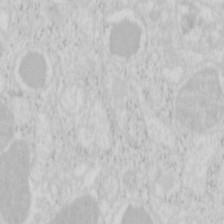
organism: Mouse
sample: Pancreas